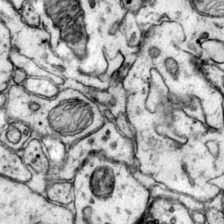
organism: Mouse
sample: Primary visual cortex